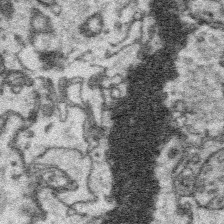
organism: Platynereis dumerilii